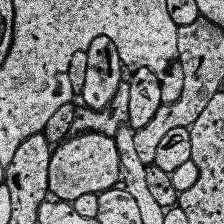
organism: Human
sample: Temporal Lobe